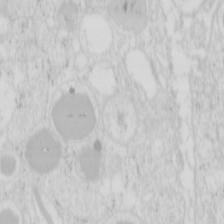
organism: Mouse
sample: Pancreas